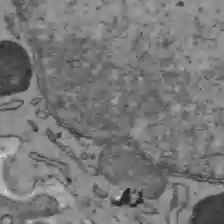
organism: C57BL Mouse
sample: Liver